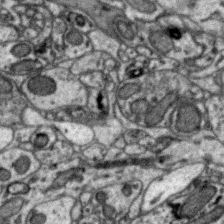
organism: Zebra finch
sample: Brain